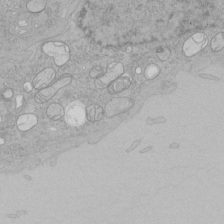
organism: Human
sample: Mitochondria in HCT116 cells